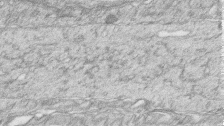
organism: Zebrafish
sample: synaptic ribbons in rod cells and cone cells